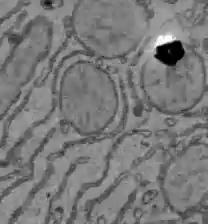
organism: C57BL Mouse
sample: Liver